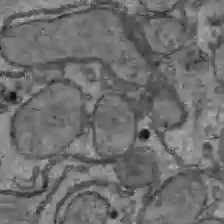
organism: C57BL Mouse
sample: Liver